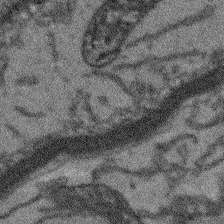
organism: Arabidopsis thaliana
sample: Root tip